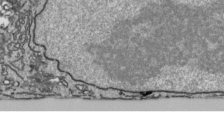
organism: Human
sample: Mitochondria in HCT116 cells